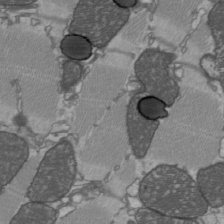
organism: C57BL Mouse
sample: Heart